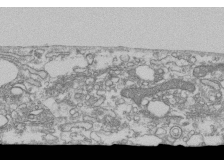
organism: Human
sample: Fibroblast cells